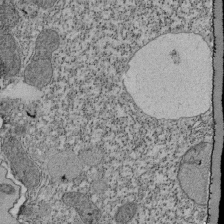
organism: Tetrahymena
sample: Cilia in tetrahymena